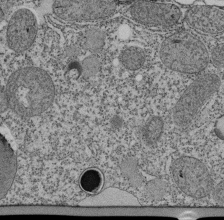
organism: Tetrahymena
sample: Cilia in tetrahymena